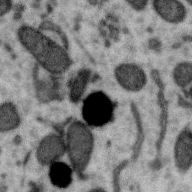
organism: Zebra finch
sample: Brain